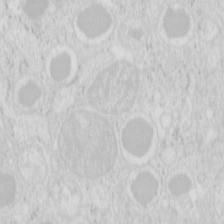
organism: Mouse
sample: Pancreas